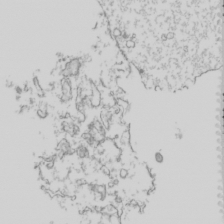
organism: Mouse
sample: Cilia; mouse epididymis